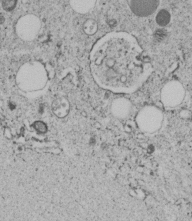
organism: C. elegans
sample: C. elegans embryo early stage